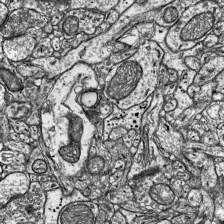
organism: Mouse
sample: Visual Cortex